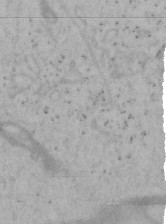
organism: Human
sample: HeLa cells